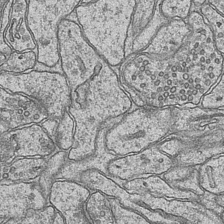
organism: Mouse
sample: CA1 Hippocampus